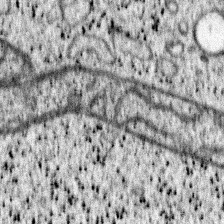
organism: Human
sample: HeLa cells